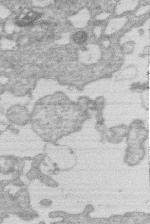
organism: Human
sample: Macrophage cells